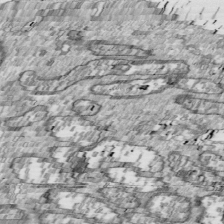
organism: Drosophila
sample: Cell division; meiosis; drosophila spermatocytes